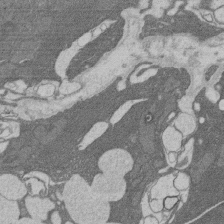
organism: Rat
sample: Salivary granule